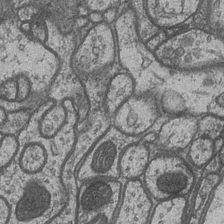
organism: Drosophila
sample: Optic medulla